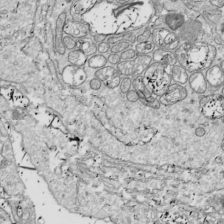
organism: Drosophila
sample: Cell division; meiosis; drosophila spermatocytes